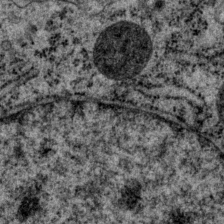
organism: P. pacificus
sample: Pharynx